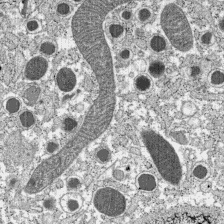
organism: C57BL Mouse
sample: Pancreatic islet